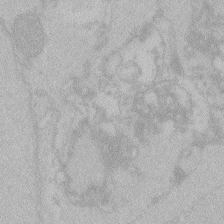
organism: Zebrafish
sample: Macrophage infected with Toxoplasma gondii